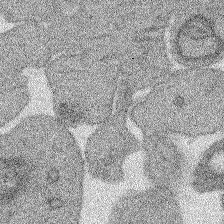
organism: Human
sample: HeLa cells